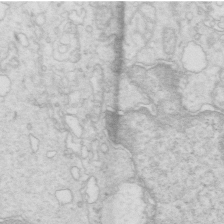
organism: Mouse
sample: Multiciliated cells